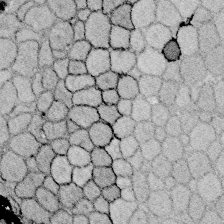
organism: Zebrafish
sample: Whole-Brain